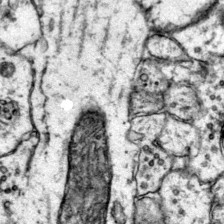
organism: Mouse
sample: Primary visual cortex